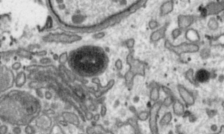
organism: Toxoplasma gondii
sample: Parasites in a vacuole inside a host cell